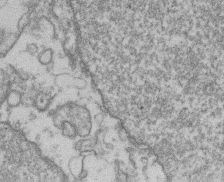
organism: Mouse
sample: T cell stromal cell synapse